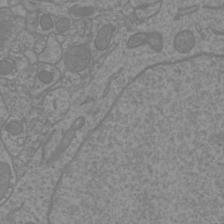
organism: Mouse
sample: Cortical neurons